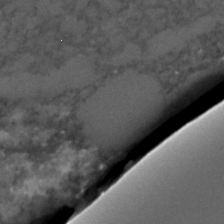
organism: C. elegans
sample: C. elegans embryo